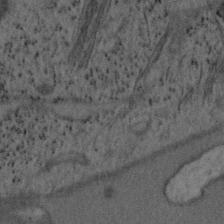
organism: Human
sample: HeLa cells